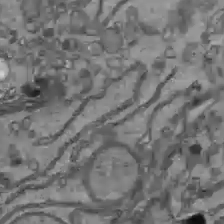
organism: C57BL Mouse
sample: Liver